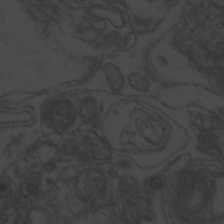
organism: Zebrafish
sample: Macrophage infected with Toxoplasma gondii